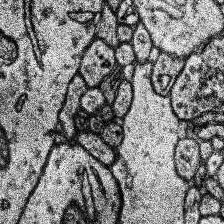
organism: Human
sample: Temporal Lobe